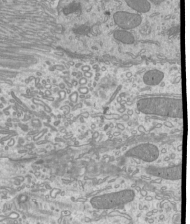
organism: Mouse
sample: Cilia; mouse epididymis